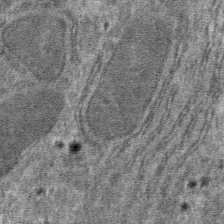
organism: Mouse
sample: Mouse hepatocytes